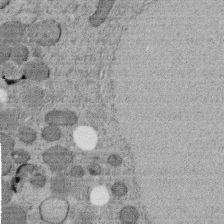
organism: C. elegans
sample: C. elegans embryo early stage